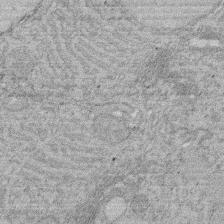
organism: Rat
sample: Salivary granule